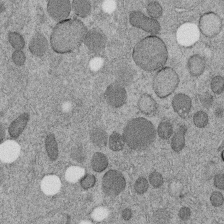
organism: C. elegans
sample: C. elegans embryo early stage